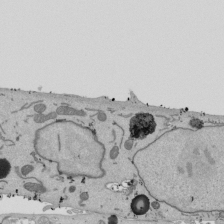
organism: Mouse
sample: ED-1 cell nuclei; centrioles